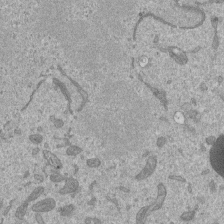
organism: Mouse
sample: ED-1 cell nuclei; centrioles